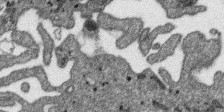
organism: Human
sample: Lung epithelial cells infected with SARS-CoV-2